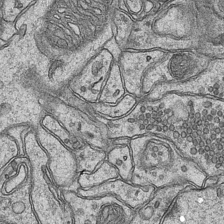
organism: Mouse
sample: CA1 Hippocampus